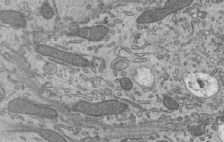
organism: Mouse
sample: Mouse epididymis efferent ductule cilia